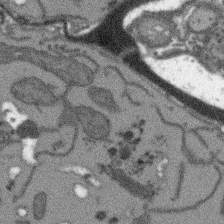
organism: Arabidopsis thaliana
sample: Root tip